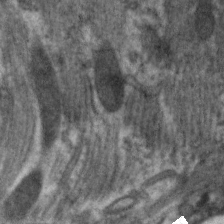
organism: C. elegans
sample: Pharynx